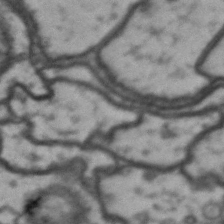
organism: Drosophila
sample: Brain